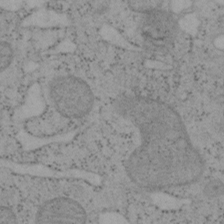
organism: Mouse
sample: OT-I killer T cells with ID8 ovarian cancer cells